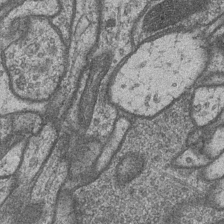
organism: Drosophila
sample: Optic medulla